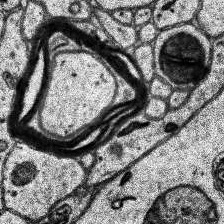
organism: Human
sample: Temporal Lobe